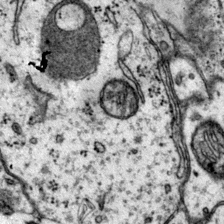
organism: Mouse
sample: Primary visual cortex